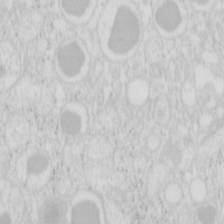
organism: Mouse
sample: Pancreas